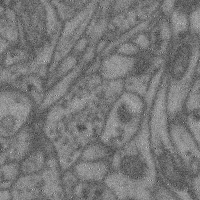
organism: Mouse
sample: Cerebral cortex